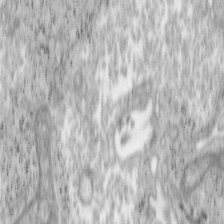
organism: Human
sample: HeLa cells